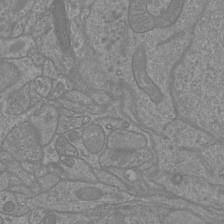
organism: Mouse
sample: Cortical neurons